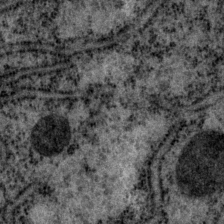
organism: P. pacificus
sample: Pharynx